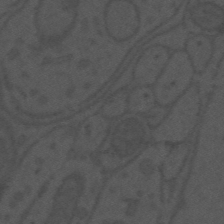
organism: Mouse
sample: Suprachiasmatic nucleus